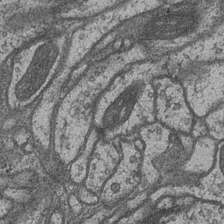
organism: Drosophila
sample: Optic medulla